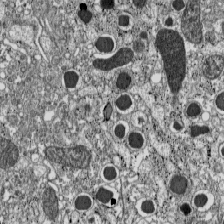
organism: C57BL Mouse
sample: Pancreatic islet